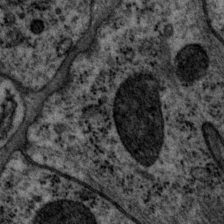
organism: P. pacificus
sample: Pharynx